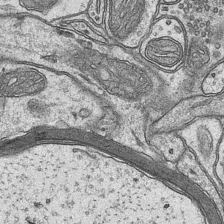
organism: Mouse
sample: CA1 Hippocampus